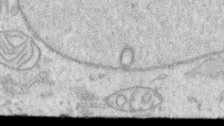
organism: Human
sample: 1205lu cells